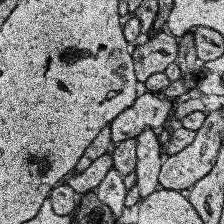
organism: Human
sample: Temporal Lobe